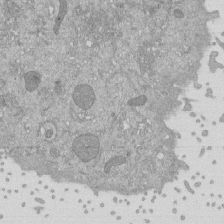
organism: Mouse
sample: ED-1 cell nuclei; centrioles